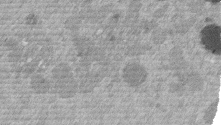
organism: Mouse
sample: Dividing mouse embryo 1 cell stage